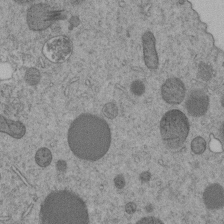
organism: C. elegans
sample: C. elegans embryo early stage